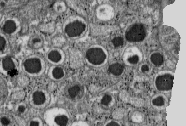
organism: C57BL Mouse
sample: Pancreatic islet